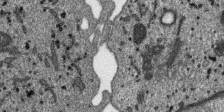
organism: Human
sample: Lung epithelial cells infected with SARS-CoV-2